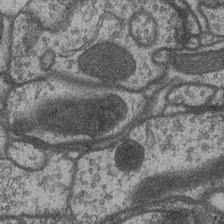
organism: Drosophila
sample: Optic medulla